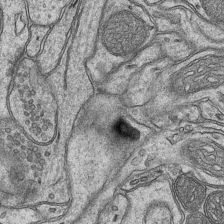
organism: Mouse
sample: CA1 Hippocampus